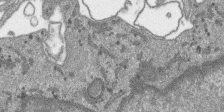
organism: Human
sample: Lung epithelial cells infected with SARS-CoV-2